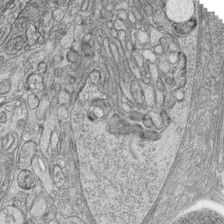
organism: Zebrafish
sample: synaptic ribbons in rod cells and cone cells